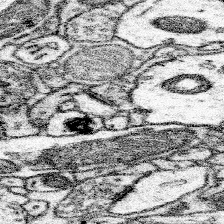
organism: Mouse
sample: Somatosensory cortex neuropil